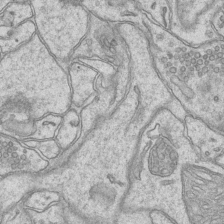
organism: Mouse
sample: CA1 Hippocampus